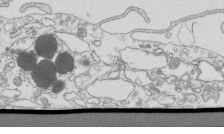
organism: Mouse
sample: Macrophages